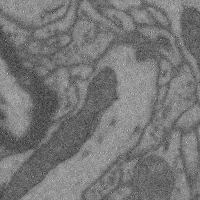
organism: Mouse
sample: Cerebral cortex